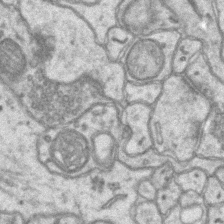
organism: Mouse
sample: CA1 Hippocampus